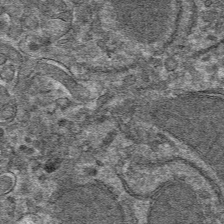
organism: Mouse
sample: Mouse hepatocytes